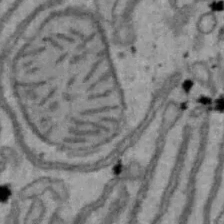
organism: Mouse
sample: Liver